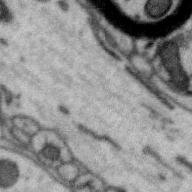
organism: Zebra finch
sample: Brain